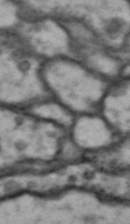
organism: Drosophila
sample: Brain